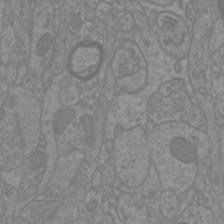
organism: Mouse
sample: Cortical neurons